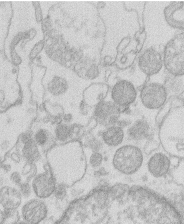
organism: Human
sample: Macrophage cells